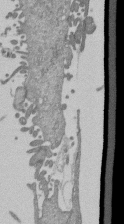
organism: Mouse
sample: ED-1 cell nuclei; centrioles